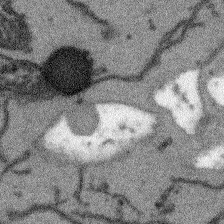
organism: Arabidopsis thaliana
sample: Root tip